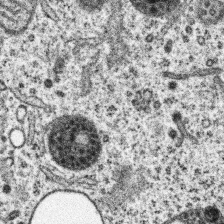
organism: Human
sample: HeLa cells